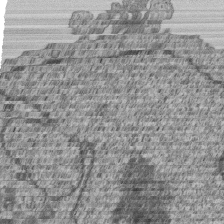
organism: Human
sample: MDA-MB-231 cells